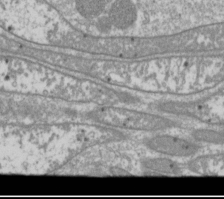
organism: Drosophila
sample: Cell division; meiosis; drosophila spermatocytes